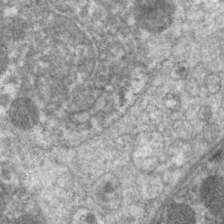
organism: C. elegans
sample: Pharynx